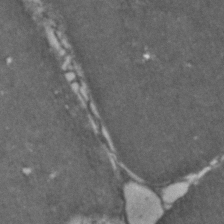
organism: Zebrafish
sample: Zebrafish embryo